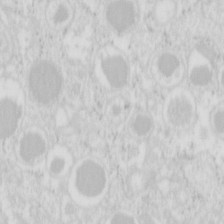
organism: Mouse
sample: Pancreas